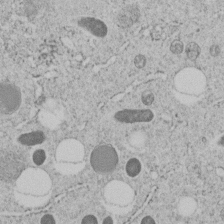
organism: C. elegans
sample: C. elegans embryo early stage